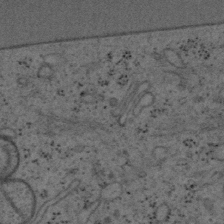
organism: Human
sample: HeLa cells